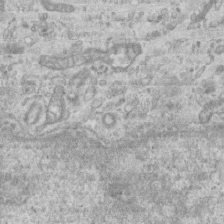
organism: Mouse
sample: Centriole in ependymal cells